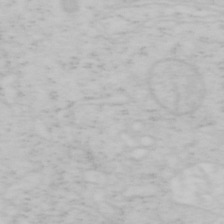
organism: Mouse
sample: OT-I killer T cells with ID8 ovarian cancer cells